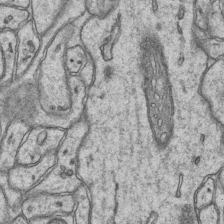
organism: Mouse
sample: CA1 Hippocampus